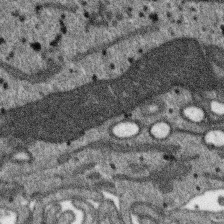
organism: Human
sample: Lung epithelial cells infected with SARS-CoV-2